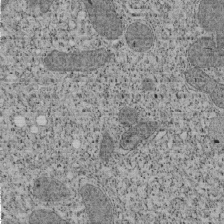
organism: Tetrahymena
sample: Cilia in tetrahymena